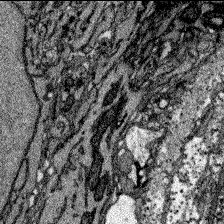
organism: Zebrafish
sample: Larval olfactory bulb